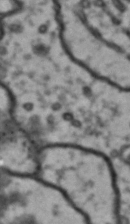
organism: Drosophila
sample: Brain